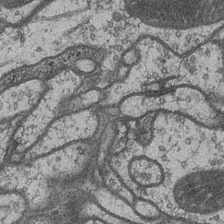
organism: Drosophila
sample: Optic medulla